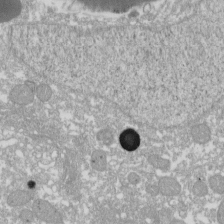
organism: Xenopus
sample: Cilia; centrioles in frog embryo cells